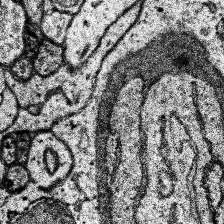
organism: Human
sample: Temporal Lobe